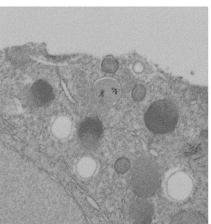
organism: C. elegans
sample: C. elegans embryo early stage